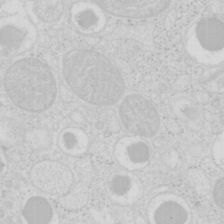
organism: Mouse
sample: Pancreas